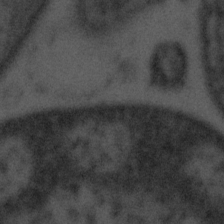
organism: Tuwongella immobilis